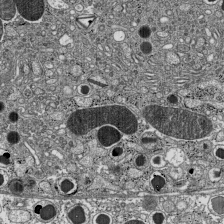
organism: C57BL Mouse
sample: Pancreatic islet